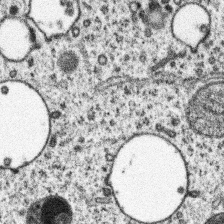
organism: Human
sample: HeLa cells